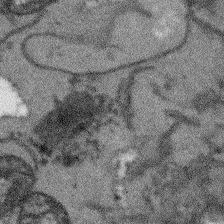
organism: Arabidopsis thaliana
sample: Root tip